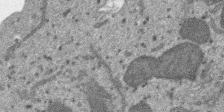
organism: Human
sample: Lung epithelial cells infected with SARS-CoV-2